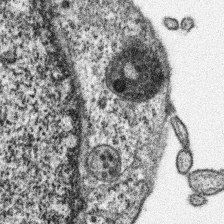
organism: Human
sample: HeLa cells